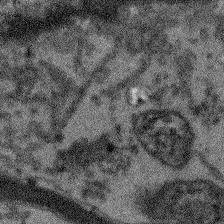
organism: Arabidopsis thaliana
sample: Root tip